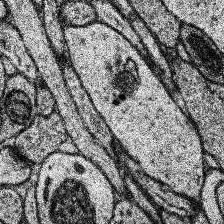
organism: Human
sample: Temporal Lobe